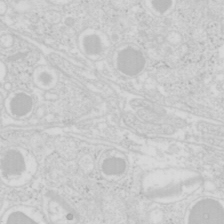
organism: Mouse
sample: Pancreas